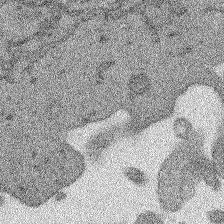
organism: Human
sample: HeLa cells